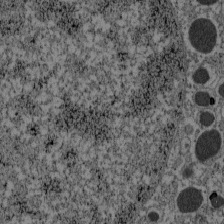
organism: C57BL Mouse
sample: Pancreatic islet